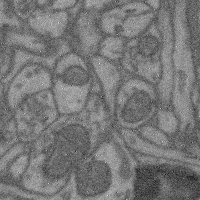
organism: Mouse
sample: Cerebral cortex